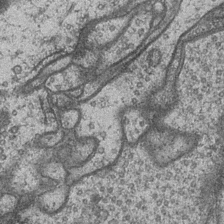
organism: Drosophila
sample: Optic medulla